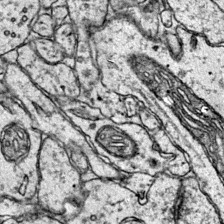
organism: Mouse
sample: Primary visual cortex